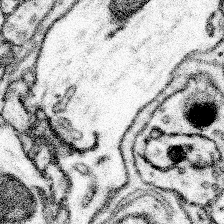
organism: Mouse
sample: Somatosensory cortex neuropil